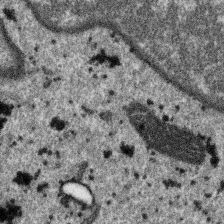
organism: Human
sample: Lung epithelial cells infected with SARS-CoV-2